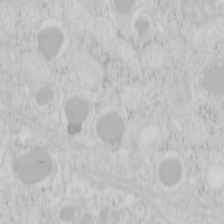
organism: Mouse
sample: Pancreas